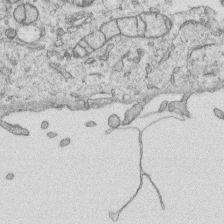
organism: Human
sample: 1205lu cells